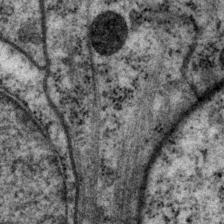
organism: P. pacificus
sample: Pharynx